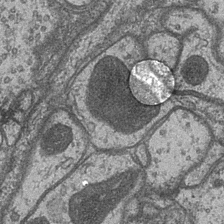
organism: Drosophila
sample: Optic medulla